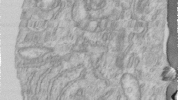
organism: Human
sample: Centriole in RPE cells